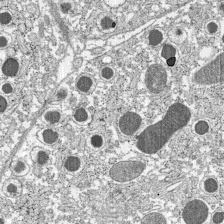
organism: C57BL Mouse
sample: Pancreatic islet